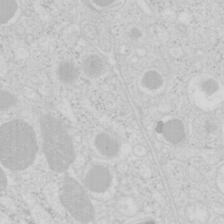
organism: Mouse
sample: Pancreas